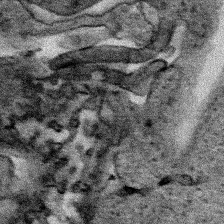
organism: Human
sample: Mitochondria in HCT116 cells